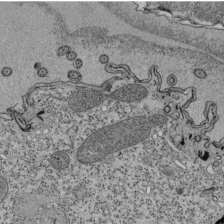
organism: Tetrahymena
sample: Cilia in tetrahymena